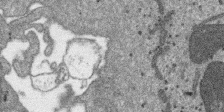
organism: Human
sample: Lung epithelial cells infected with SARS-CoV-2